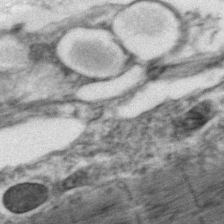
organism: Zebrafish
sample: Zebrafish embryo